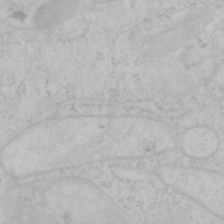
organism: Mouse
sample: OT-I killer T cells with ID8 ovarian cancer cells